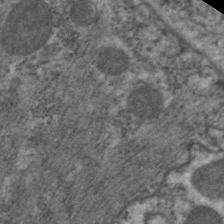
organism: C. elegans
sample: Pharynx